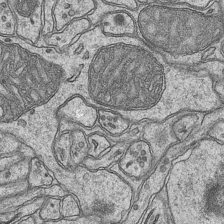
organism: Mouse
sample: CA1 Hippocampus